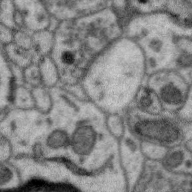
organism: Zebra finch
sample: Brain